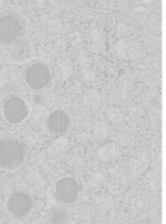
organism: Mouse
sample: Pancreas